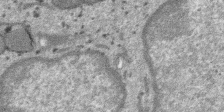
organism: Human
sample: Lung epithelial cells infected with SARS-CoV-2